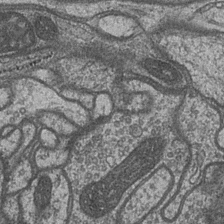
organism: Drosophila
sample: Optic medulla